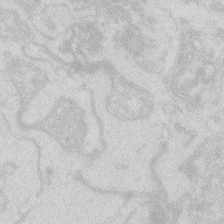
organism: Zebrafish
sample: Macrophage